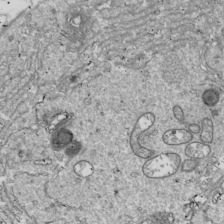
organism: Drosophila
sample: Cell division; meiosis; drosophila spermatocytes